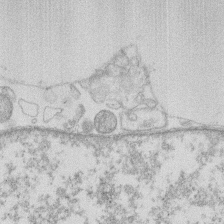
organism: Human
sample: Macrophage cells